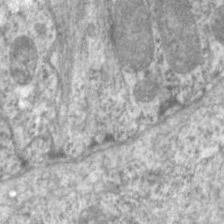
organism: C. elegans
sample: Pharynx